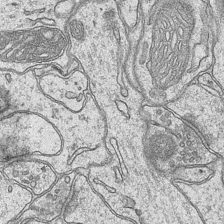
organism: Mouse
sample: CA1 Hippocampus